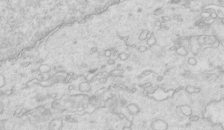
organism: Mouse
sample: Multiciliated cells